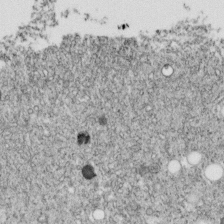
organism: C. elegans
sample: C. elegans embryo early stage